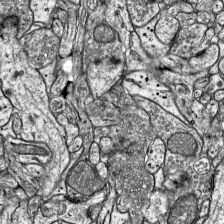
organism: Mouse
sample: Visual Cortex